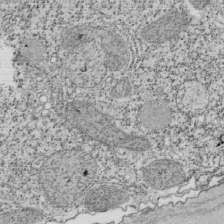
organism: Tetrahymena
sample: Cilia in tetrahymena